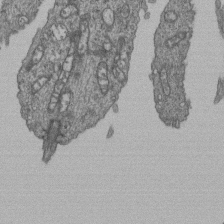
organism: Human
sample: Retinal organoid Rod and Cone cells